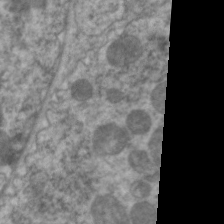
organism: C. elegans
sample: Pharynx